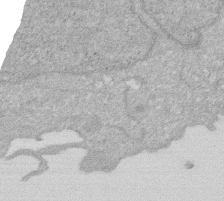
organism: Human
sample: HIV infected U937 cells